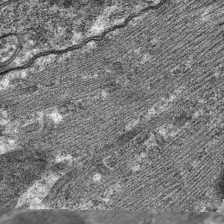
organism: C. elegans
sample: Pharynx